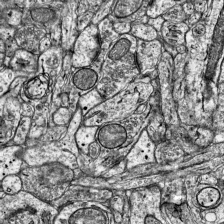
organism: Mouse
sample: Visual Cortex